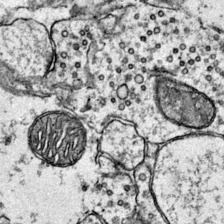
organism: Mouse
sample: Primary visual cortex